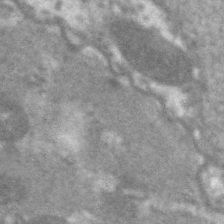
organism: C. elegans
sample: Pharynx